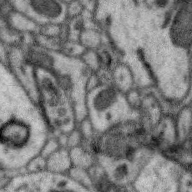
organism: Zebra finch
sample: Brain